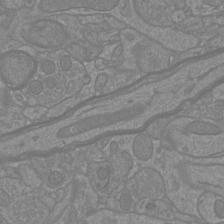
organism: Mouse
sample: Cortical neurons